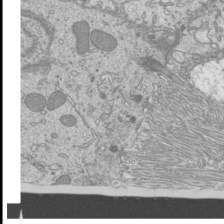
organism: Mouse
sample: Cilia; mouse epididymis